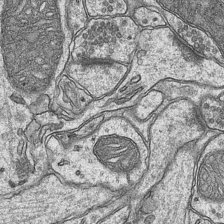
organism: Mouse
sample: CA1 Hippocampus